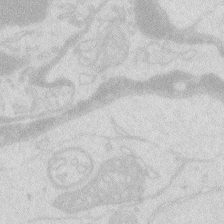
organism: Zebrafish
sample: Macrophage